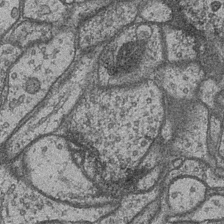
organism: Drosophila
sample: Optic medulla